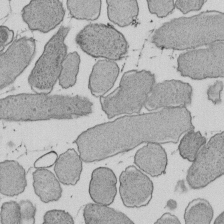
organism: E. coli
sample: Bacterial nucleoid